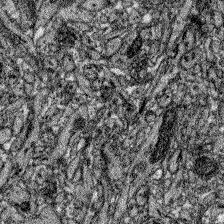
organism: Zebrafish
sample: Larval olfactory bulb